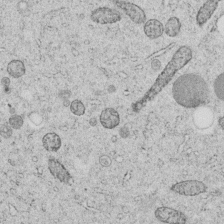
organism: C. elegans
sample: C. elegans embryo early stage